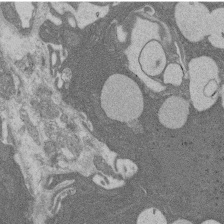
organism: Rat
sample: Salivary granule